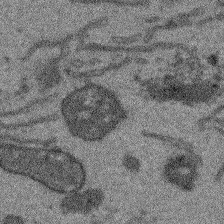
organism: Arabidopsis thaliana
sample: Root tip